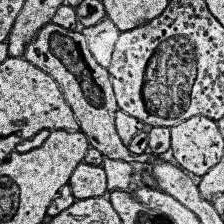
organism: Human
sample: Temporal Lobe